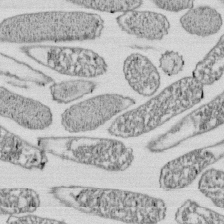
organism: E. coli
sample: Bacterial nucleoid